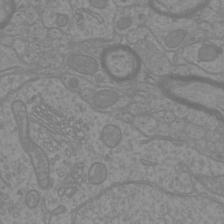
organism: Mouse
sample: Cortical neurons